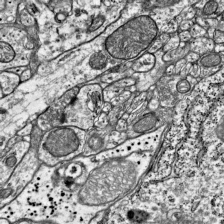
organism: Mouse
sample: Visual Cortex